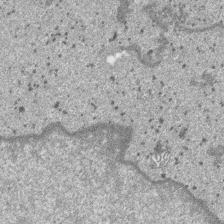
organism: Human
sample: Lung epithelial cells infected with SARS-CoV-2